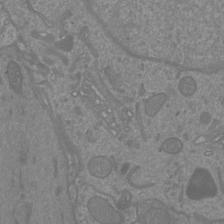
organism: Mouse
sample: Cortical neurons